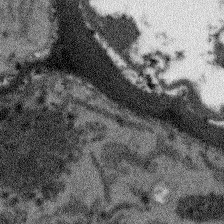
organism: Arabidopsis thaliana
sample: Root tip